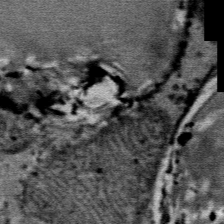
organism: Mouse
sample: Mouse Salivary gland